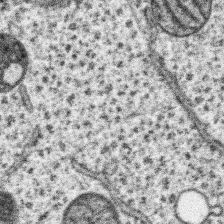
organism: Human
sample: HeLa cells